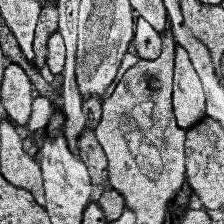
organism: Human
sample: Temporal Lobe